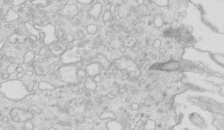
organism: Mouse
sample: Multiciliated cells